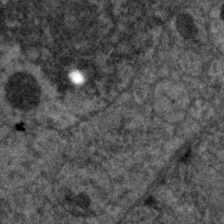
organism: C. elegans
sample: Pharynx